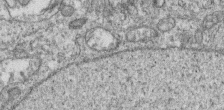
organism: Human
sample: HeLa cell HIV synapse